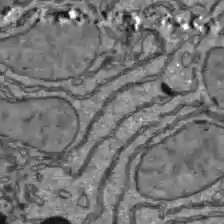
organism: C57BL Mouse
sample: Liver